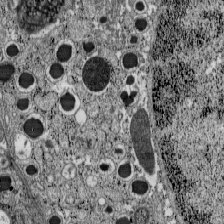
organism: C57BL Mouse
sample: Pancreatic islet